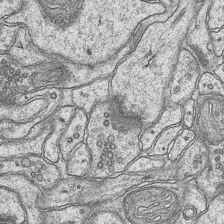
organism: Mouse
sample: CA1 Hippocampus